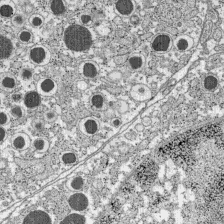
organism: C57BL Mouse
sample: Pancreatic islet